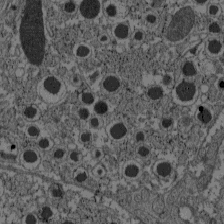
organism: C57BL Mouse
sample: Pancreatic islet